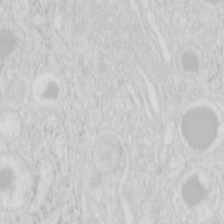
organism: Mouse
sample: Pancreas